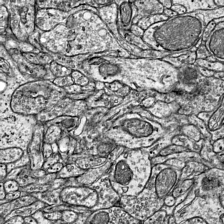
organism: Mouse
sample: Visual Cortex